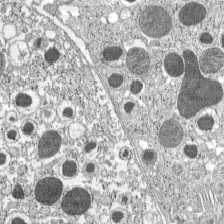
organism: C57BL Mouse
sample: Pancreatic islet